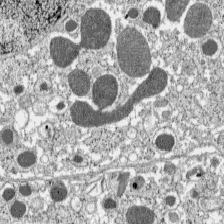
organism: C57BL Mouse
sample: Pancreatic islet